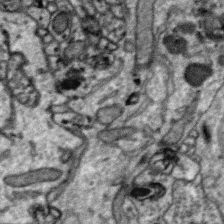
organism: Zebra finch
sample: Brain